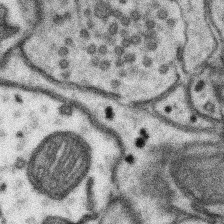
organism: Mouse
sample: Somatosensory cortex neuropil